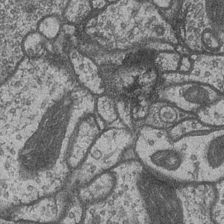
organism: Drosophila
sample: Optic medulla